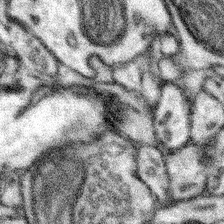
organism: Mouse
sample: Somatosensory cortex neuropil